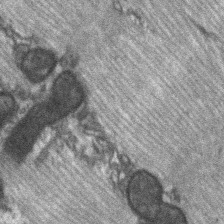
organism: C57BL Mouse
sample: Soleus